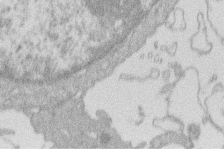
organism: Human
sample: Macrophage cells